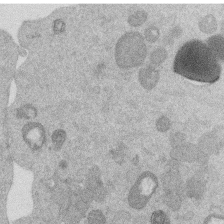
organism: Mouse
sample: Dividing mouse embryo 1 cell stage